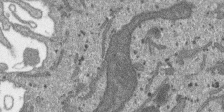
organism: Human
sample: Lung epithelial cells infected with SARS-CoV-2